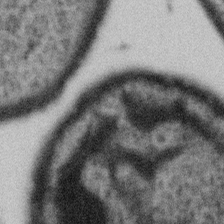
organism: Gemmata obscuriglobus